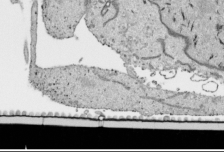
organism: Human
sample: Mitochondria in HCT116 cells